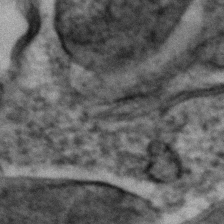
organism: Zebrafish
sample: Zebrafish embryo